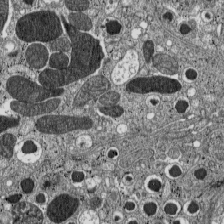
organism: C57BL Mouse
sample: Pancreatic islet